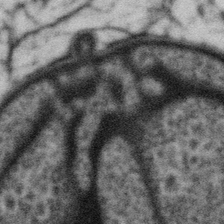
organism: Gemmata obscuriglobus